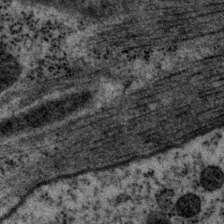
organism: P. pacificus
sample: Pharynx